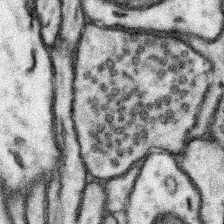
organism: Mouse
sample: Somatosensory cortex neuropil